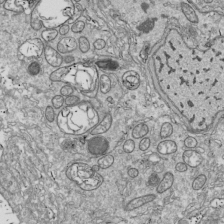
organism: Drosophila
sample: Cell division; meiosis; drosophila spermatocytes